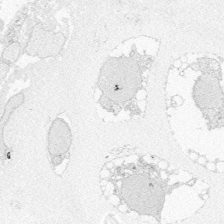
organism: Zebrafish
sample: Whole-Brain